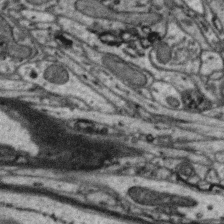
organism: Zebra finch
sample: Brain